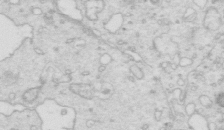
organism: Mouse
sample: Multiciliated cells